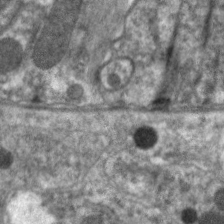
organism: C. elegans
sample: Pharynx